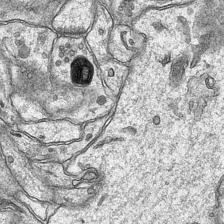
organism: Mouse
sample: CA1 Hippocampus